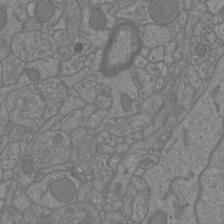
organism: Mouse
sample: Cortical neurons